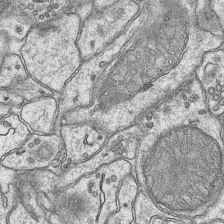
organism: Mouse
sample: CA1 Hippocampus